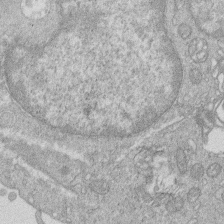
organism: Human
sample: Macrophage cells